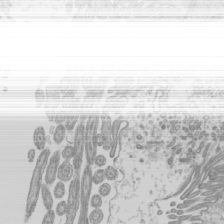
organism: Mouse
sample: Cilia; mouse epididymis